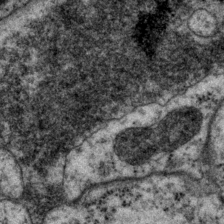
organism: P. pacificus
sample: Pharynx